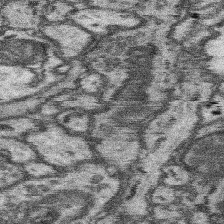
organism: Mouse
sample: Somatosensory cortex neuropil